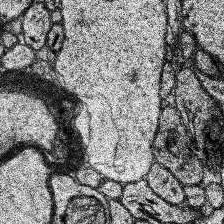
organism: Human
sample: Temporal Lobe